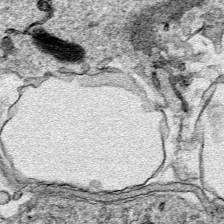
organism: Human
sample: Mitochondria in HCT116 cells